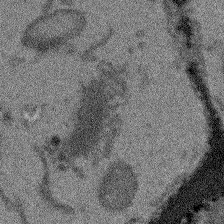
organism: Arabidopsis thaliana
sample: Root tip